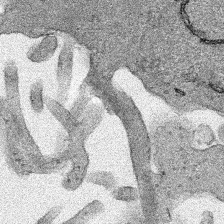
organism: Human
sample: Mitochondria in HCT116 cells